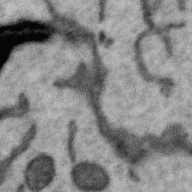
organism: Zebra finch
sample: Brain